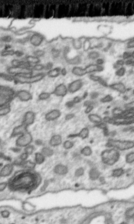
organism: Toxoplasma gondii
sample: Parasites in a vacuole inside a host cell